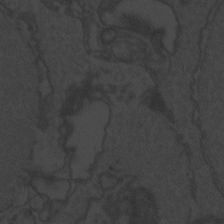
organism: Zebrafish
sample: Macrophage infected with Toxoplasma gondii